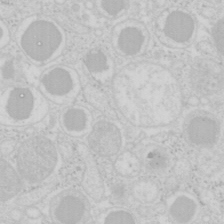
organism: Mouse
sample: Pancreas